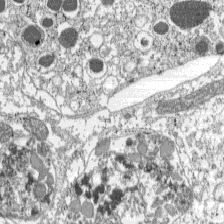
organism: C57BL Mouse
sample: Pancreatic islet